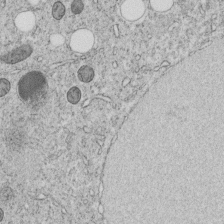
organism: C. elegans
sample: C. elegans embryo early stage